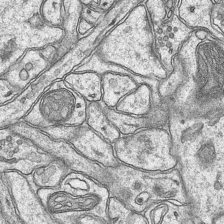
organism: Mouse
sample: CA1 Hippocampus